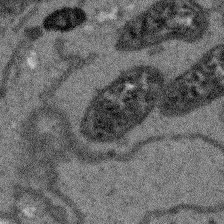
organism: Arabidopsis thaliana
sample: Root tip